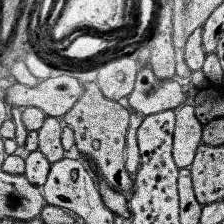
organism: Human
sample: Temporal Lobe